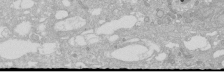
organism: Human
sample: Caco-2 cells